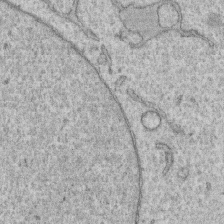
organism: Human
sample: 1205lu cells